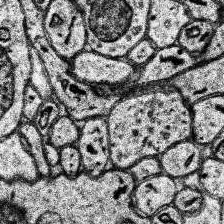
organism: Human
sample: Temporal Lobe